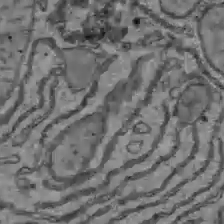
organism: C57BL Mouse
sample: Liver